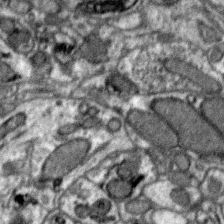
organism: Zebra finch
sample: Brain